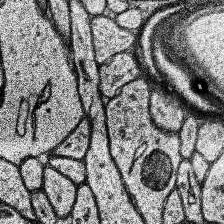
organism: Human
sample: Temporal Lobe